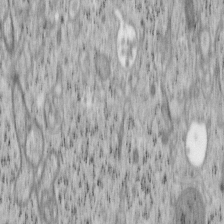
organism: Human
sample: HeLa cells